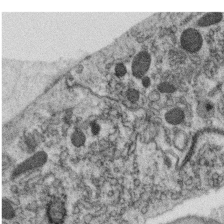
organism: C. elegans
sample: C. elegans oocyte; sperm cells